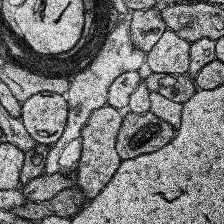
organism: Human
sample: Temporal Lobe